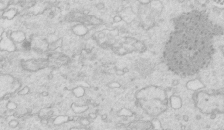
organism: Mouse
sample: Multiciliated cells